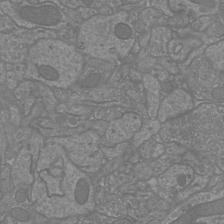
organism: Mouse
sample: Cortical neurons